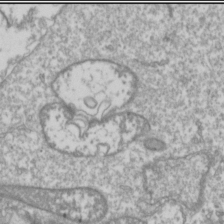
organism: Drosophila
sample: Cell division; meiosis; drosophila spermatocytes